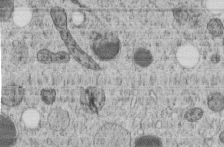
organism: C. elegans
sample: C. elegans embryo early stage